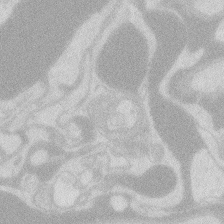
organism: Zebrafish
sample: Macrophage